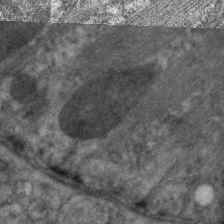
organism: C. elegans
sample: Pharynx